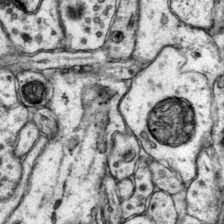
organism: Mouse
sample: Primary visual cortex